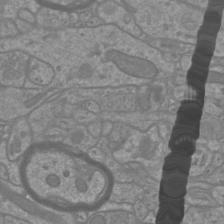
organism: Mouse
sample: Cortical neurons